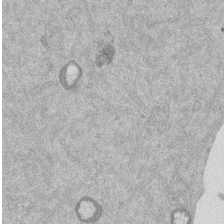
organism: Mouse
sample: Dividing mouse embryo 1 cell stage